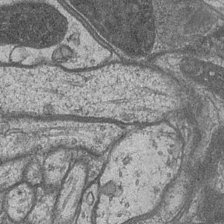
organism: Drosophila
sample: Optic medulla